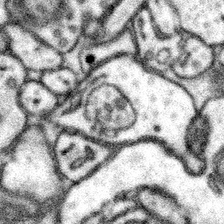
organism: Mouse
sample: Somatosensory cortex neuropil